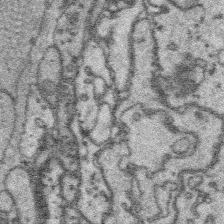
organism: Platynereis dumerilii